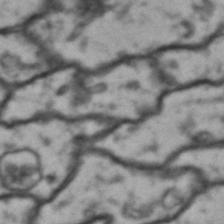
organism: Drosophila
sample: Brain